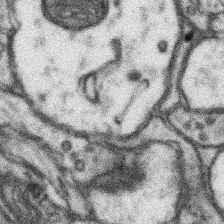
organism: Mouse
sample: Somatosensory cortex neuropil